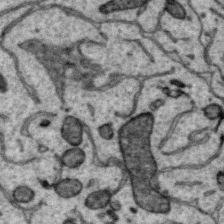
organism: Zebra finch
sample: Brain